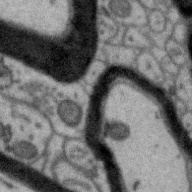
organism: Zebra finch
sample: Brain